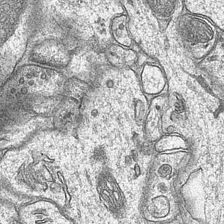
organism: Mouse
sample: CA1 Hippocampus